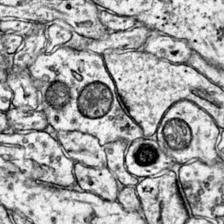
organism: Mouse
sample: Primary visual cortex